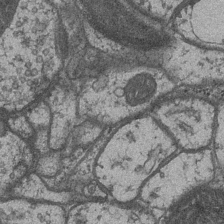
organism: Drosophila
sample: Optic medulla